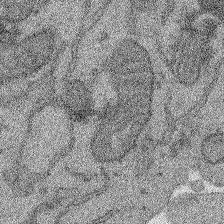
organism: Human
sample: HeLa cells